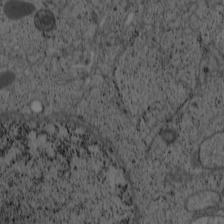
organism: African green monkey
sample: COS-7 cells